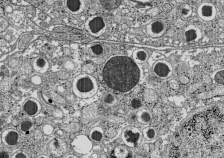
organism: C57BL Mouse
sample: Pancreatic islet